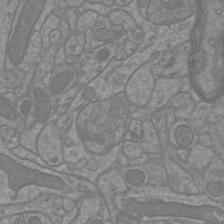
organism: Mouse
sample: Cortical neurons